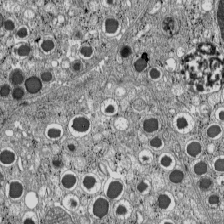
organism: C57BL Mouse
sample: Pancreatic islet